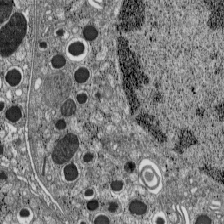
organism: C57BL Mouse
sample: Pancreatic islet